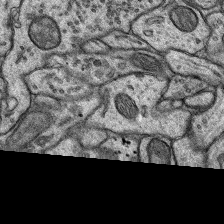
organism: Rat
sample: Hippocampus